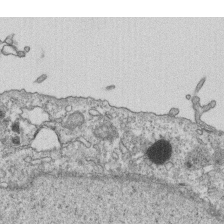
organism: Human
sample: HeLa cell HIV synapse